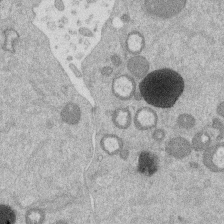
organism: Mouse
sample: Dividing mouse embryo 1 cell stage